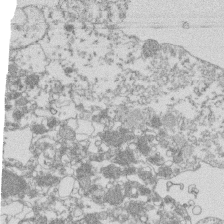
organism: Human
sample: HeLa cell HIV synapse